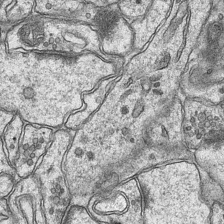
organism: Mouse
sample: CA1 Hippocampus